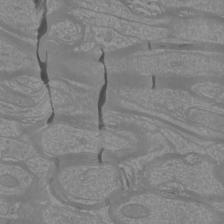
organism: Mouse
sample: Cortical neurons